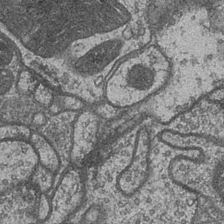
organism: Drosophila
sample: Optic medulla